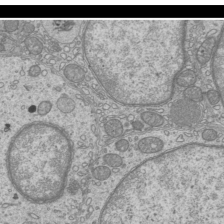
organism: Mouse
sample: Cilia; mouse epididymis